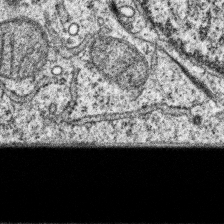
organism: Human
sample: HeLa cells